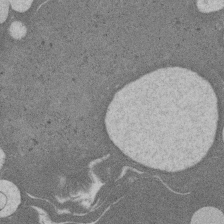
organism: Rat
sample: Salivary granule